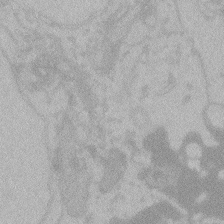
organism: Zebrafish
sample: Macrophage infected with Toxoplasma gondii